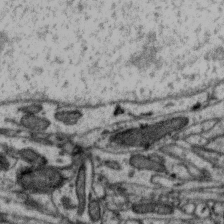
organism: Zebra finch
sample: Brain